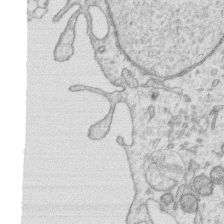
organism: Human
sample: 1205lu cells